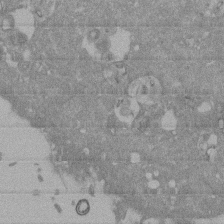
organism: Mouse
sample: ED-1 cell nuclei; centrioles